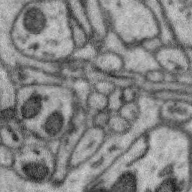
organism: Zebra finch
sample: Brain